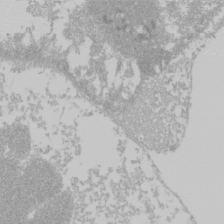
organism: Mouse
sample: Cancer cell death in ED-1 cells